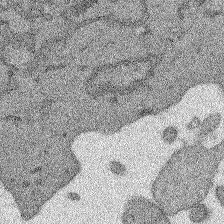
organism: Human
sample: HeLa cells